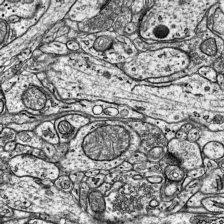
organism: Mouse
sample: Visual Cortex